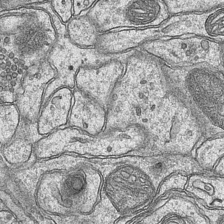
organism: Mouse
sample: CA1 Hippocampus